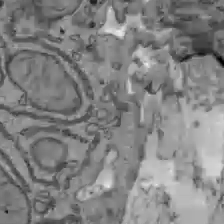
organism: C57BL Mouse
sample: Liver